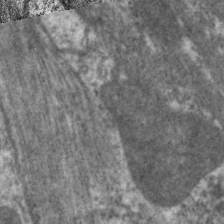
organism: C. elegans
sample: Pharynx